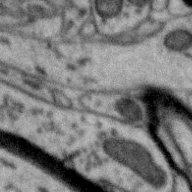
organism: Zebra finch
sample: Brain